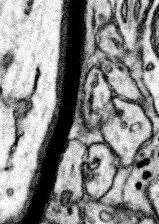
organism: Mouse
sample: Somatosensory cortex neuropil